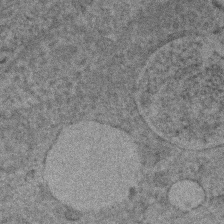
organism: Human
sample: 1205lu cells